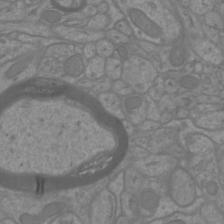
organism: Mouse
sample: Cortical neurons